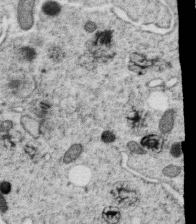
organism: C. elegans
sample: C. elegans oocyte; sperm cells